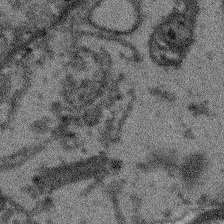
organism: Arabidopsis thaliana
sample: Root tip